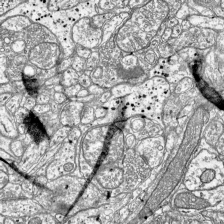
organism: Mouse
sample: Visual Cortex